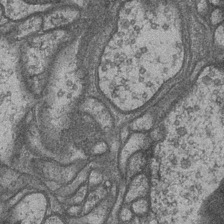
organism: Drosophila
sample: Optic medulla